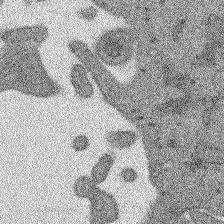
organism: Human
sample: HeLa cells